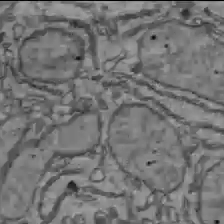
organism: C57BL Mouse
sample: Liver